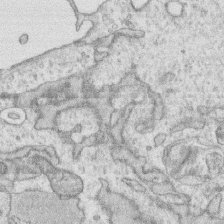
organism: Human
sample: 1205lu cells